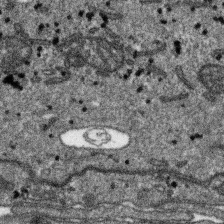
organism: Human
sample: Lung epithelial cells infected with SARS-CoV-2